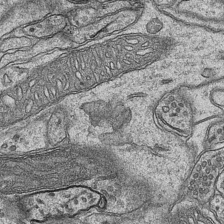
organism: Mouse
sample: CA1 Hippocampus